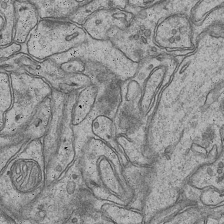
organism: Mouse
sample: CA1 Hippocampus